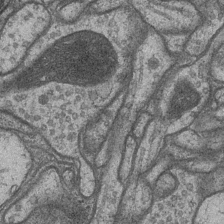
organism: Drosophila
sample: Optic medulla